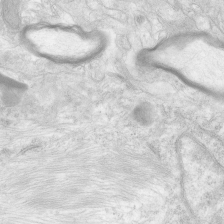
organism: Human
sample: Neocortex